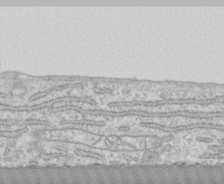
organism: Human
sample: CRL-1474